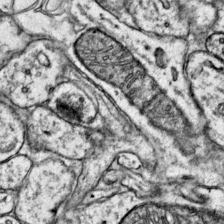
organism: Mouse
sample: Primary visual cortex